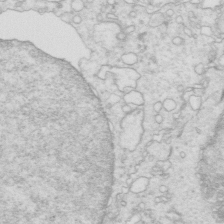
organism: Mouse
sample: Multiciliated cells